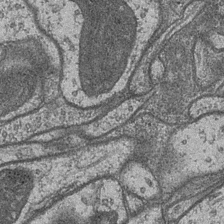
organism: Drosophila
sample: Optic medulla